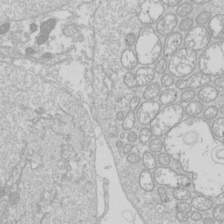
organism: Drosophila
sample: Cell division; meiosis; drosophila spermatocytes